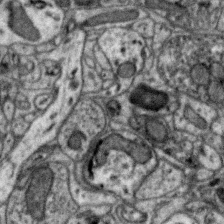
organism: Zebra finch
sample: Brain